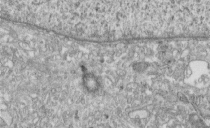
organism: Human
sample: Centriole in fibroblast cells